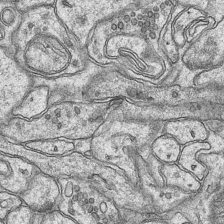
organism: Mouse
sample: CA1 Hippocampus